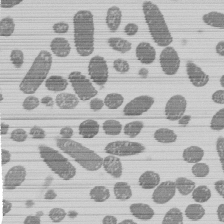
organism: E. coli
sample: Bacterial nucleoid